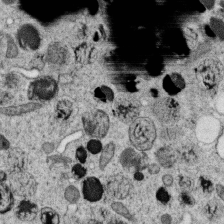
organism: C. elegans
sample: C. elegans oocyte; sperm cells